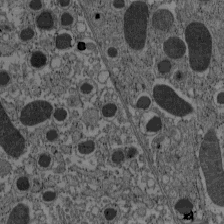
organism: C57BL Mouse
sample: Pancreatic islet